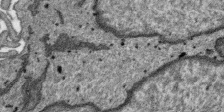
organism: Human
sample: Lung epithelial cells, uninfected (mock) control